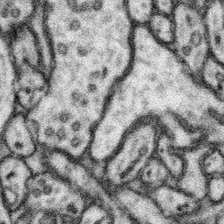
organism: Mouse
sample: Somatosensory cortex neuropil